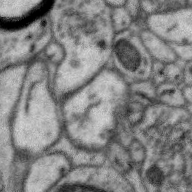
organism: Zebra finch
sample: Brain